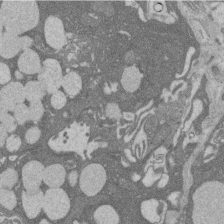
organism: Rat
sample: Salivary granule